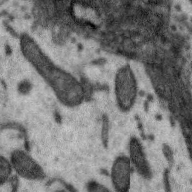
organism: Zebra finch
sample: Brain